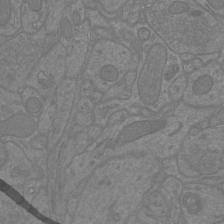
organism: Mouse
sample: Cortical neurons